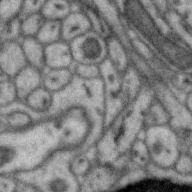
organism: Zebra finch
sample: Brain